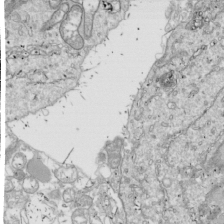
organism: Drosophila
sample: Cell division; meiosis; drosophila spermatocytes